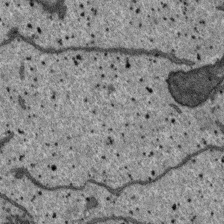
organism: Human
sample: Lung epithelial cells, uninfected (mock) control